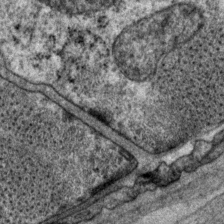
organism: P. pacificus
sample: Pharynx